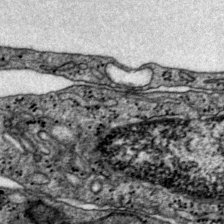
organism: Mouse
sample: Primary visual cortex